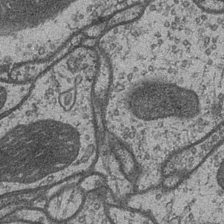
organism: Drosophila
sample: Optic medulla